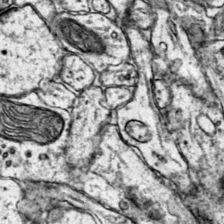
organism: Mouse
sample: Primary visual cortex